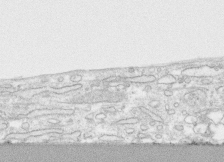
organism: Human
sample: CRL-1474